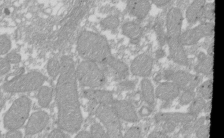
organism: Xenopus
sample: Cilia; centrioles in frog embryo cells